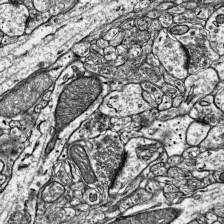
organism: Mouse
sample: Visual Cortex